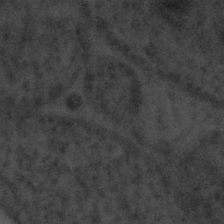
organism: Tuwongella immobilis